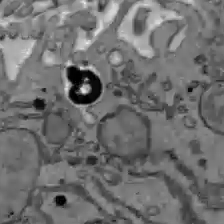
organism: C57BL Mouse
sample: Liver